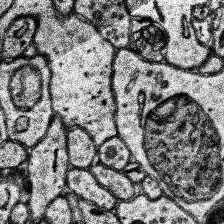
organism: Human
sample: Temporal Lobe